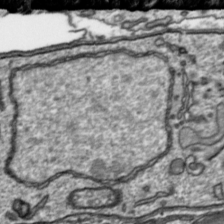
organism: Toxoplasma gondii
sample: Parasites in a vacuole inside a host cell